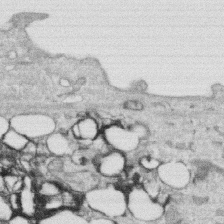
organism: Human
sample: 1205lu cells